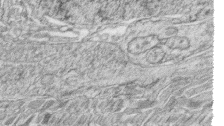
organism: Zebrafish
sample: synaptic ribbons in rod cells and cone cells